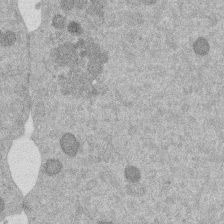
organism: Mouse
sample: Dividing mouse embryo 1 cell stage